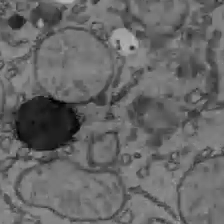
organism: C57BL Mouse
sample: Liver